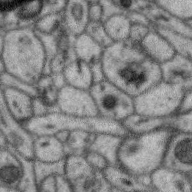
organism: Zebra finch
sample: Brain